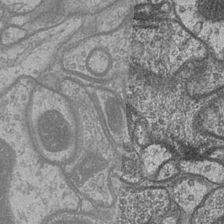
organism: Drosophila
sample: Optic medulla